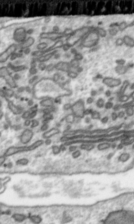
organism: Toxoplasma gondii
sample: Parasites in a vacuole inside a host cell